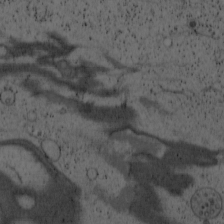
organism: African green monkey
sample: COS-7 cells